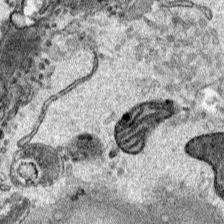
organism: Human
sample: Mitochondria in HCT116 cells